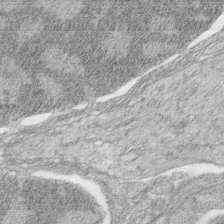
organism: Zebrafish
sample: synaptic ribbons in rod cells and cone cells